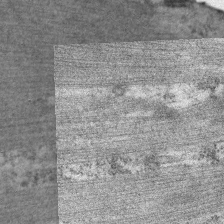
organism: C. elegans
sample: Pharynx